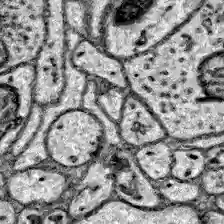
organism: Zebrafish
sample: Brain